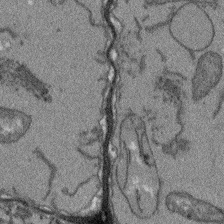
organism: Arabidopsis thaliana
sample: Root tip